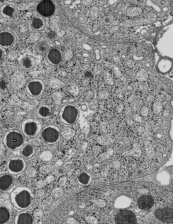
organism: C57BL Mouse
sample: Pancreatic islet